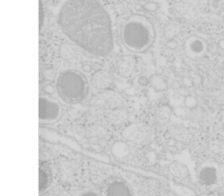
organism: Mouse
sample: Pancreas